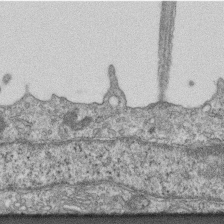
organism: Mouse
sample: Centriole in ependymal cells